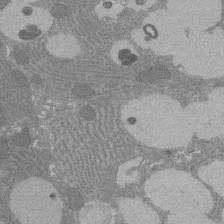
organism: Rat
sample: Salivary granule